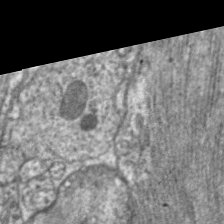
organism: C. elegans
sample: Pharynx